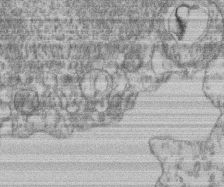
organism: Mouse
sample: T cell stromal cell synapse